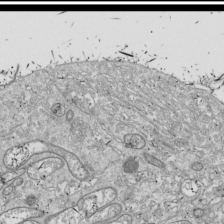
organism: Drosophila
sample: Cell division; meiosis; drosophila spermatocytes